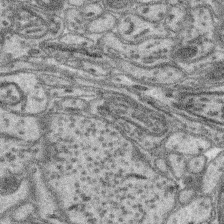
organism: Mouse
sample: Retina